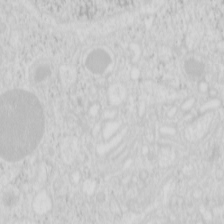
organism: Mouse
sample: Pancreas